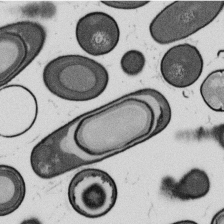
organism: B. subtilis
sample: Bacterial spore